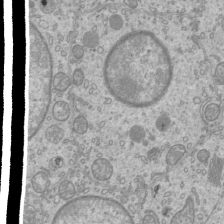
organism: Mouse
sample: Cilia; mouse epididymis